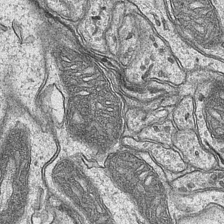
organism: Mouse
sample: CA1 Hippocampus